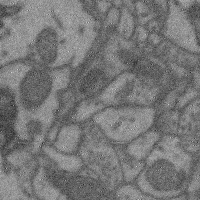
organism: Mouse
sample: Cerebral cortex